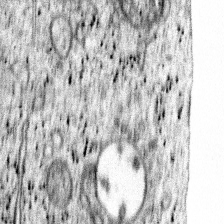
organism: Human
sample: HeLa cells